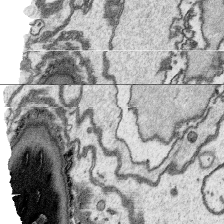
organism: Platynereis dumerilii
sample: Parapodia